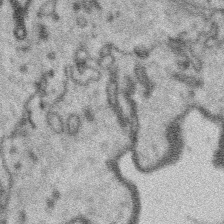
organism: Platynereis dumerilii